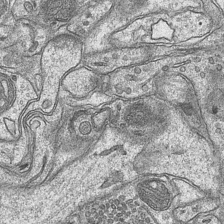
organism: Mouse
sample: CA1 Hippocampus